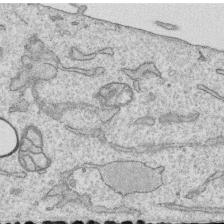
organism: Human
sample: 1205lu cells